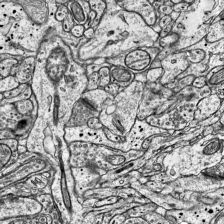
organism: Mouse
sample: Visual Cortex